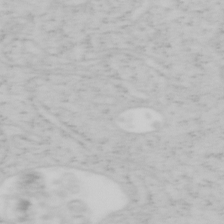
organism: Mouse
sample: OT-I killer T cells with ID8 ovarian cancer cells